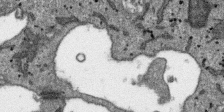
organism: Human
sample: Lung epithelial cells, uninfected (mock) control